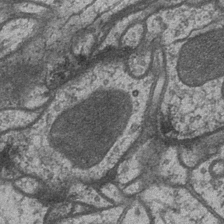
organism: Drosophila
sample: Optic medulla